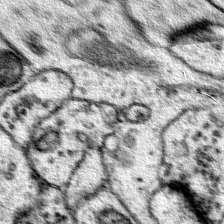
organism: Mouse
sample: Primary visual cortex